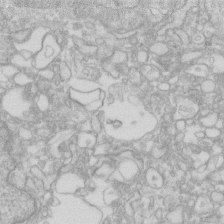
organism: Human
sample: Fibroblast cells